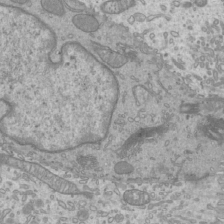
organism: Mouse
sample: Cilia; mouse epididymis